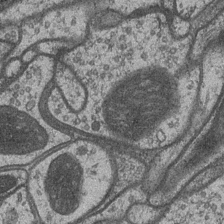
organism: Drosophila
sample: Optic medulla